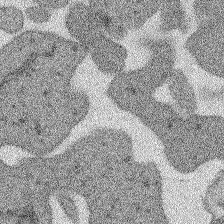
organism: Human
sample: HeLa cells